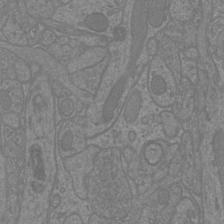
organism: Mouse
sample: Cortical neurons